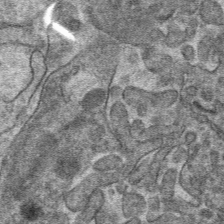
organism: Mouse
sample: Mouse hepatocytes